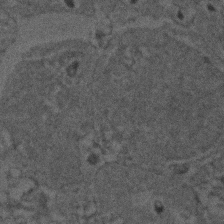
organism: Zebrafish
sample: Zebrafish embryo